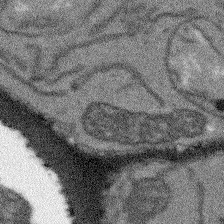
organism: Arabidopsis thaliana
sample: Root tip